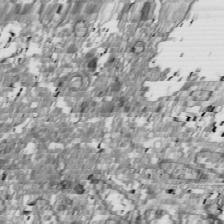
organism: Drosophila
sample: Cell division; meiosis; drosophila spermatocytes